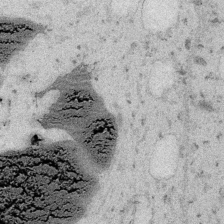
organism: Embia sp.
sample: Silk gland